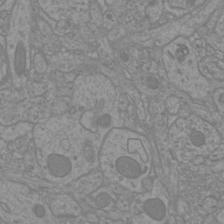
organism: Mouse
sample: Cortical neurons